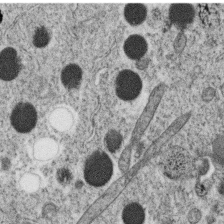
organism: C. elegans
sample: C. elegans oocyte; sperm cells